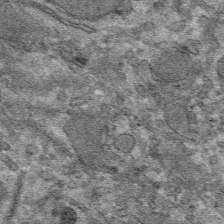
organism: Mouse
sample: Mouse hepatocytes